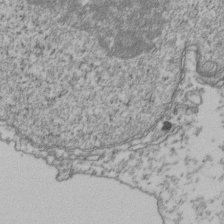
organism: Human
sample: Activated Jurkat CD4+ T cells